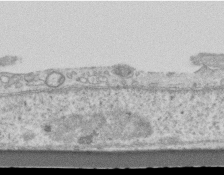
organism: Mouse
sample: Centriole in ependymal cells